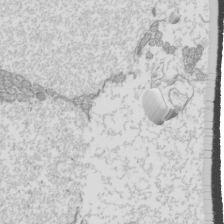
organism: Mouse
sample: Cilia; mouse epididymis